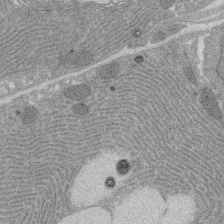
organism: Rat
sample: Salivary granule